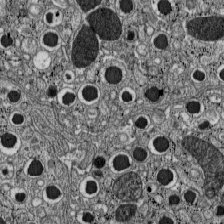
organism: C57BL Mouse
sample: Pancreatic islet